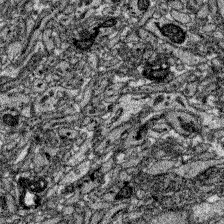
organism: Zebrafish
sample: Larval olfactory bulb